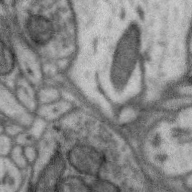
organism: Zebra finch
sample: Brain